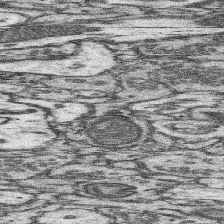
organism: Mouse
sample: Somatosensory cortex neuropil